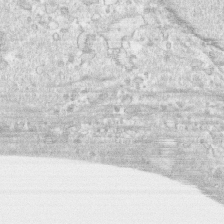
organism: Human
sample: CRL-1474